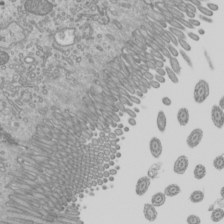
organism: Mouse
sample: Cilia; mouse epididymis